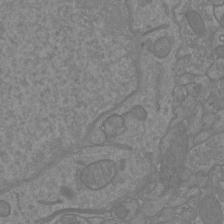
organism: Mouse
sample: Cortical neurons